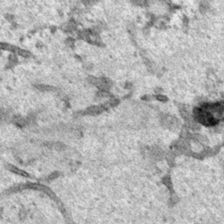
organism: Human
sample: Mitochondria in HCT116 cells